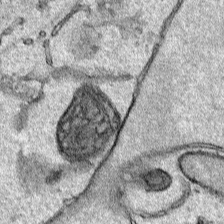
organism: Human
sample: Mitochondria in HCT116 cells